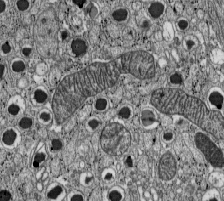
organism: C57BL Mouse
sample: Pancreatic islet